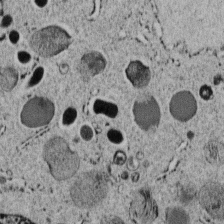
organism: C. elegans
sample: C. elegans embryo early stage